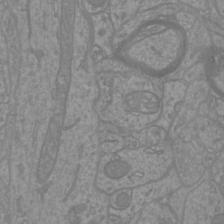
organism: Mouse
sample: Cortical neurons